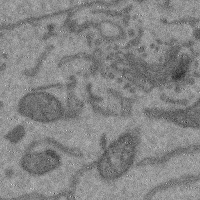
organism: Mouse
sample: Cerebral cortex